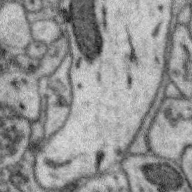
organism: Zebra finch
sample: Brain